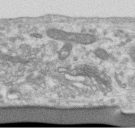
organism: Human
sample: Centriole in RPE cells